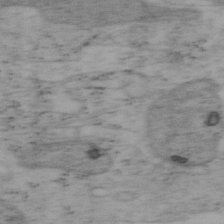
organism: Mouse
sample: OT-I killer T cells with ID8 ovarian cancer cells